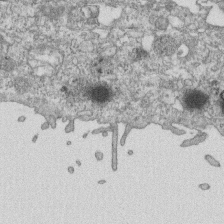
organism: Human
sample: HeLa cell HIV synapse